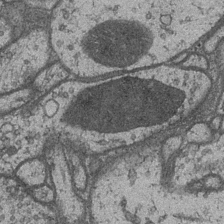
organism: Drosophila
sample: Optic medulla